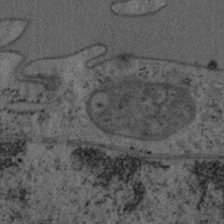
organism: Human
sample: HeLa cells